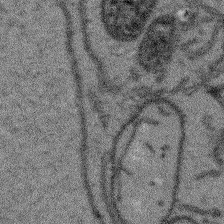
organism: Arabidopsis thaliana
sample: Root tip